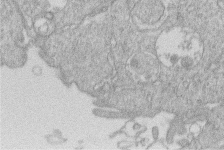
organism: Human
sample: Macrophage cells